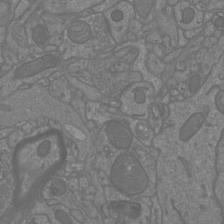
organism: Mouse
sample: Cortical neurons